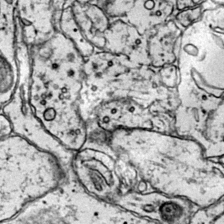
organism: Mouse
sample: Primary visual cortex